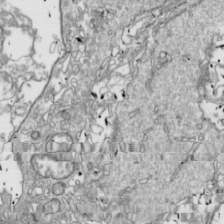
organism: Drosophila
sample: Cell division; meiosis; drosophila spermatocytes